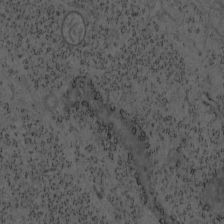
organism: Mouse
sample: OT-I killer T cells with ID8 ovarian cancer cells